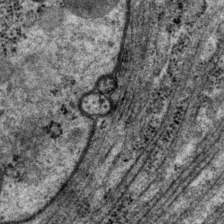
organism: P. pacificus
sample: Pharynx